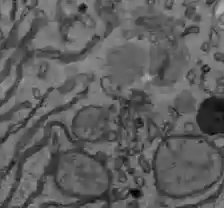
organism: C57BL Mouse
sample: Liver